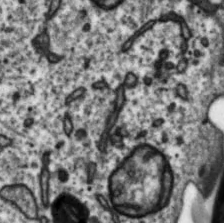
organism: Human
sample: HeLa cells